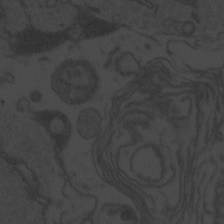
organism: Zebrafish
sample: Macrophage infected with Toxoplasma gondii